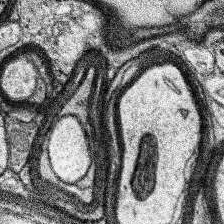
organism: Human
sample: Temporal Lobe